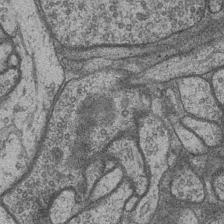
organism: Drosophila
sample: Optic medulla